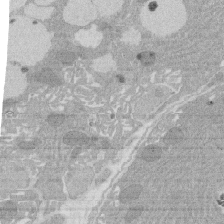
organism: Rat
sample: Salivary granule